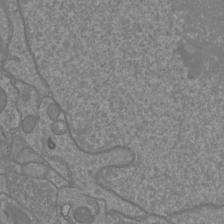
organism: Mouse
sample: Cortical neurons